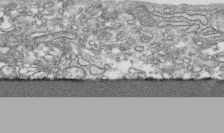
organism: Human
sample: CRL-1474